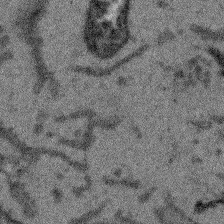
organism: Arabidopsis thaliana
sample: Root tip